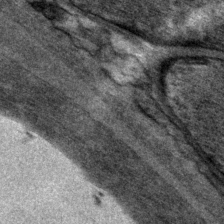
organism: P. pacificus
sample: Pharynx